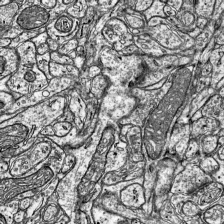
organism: Mouse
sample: Visual Cortex